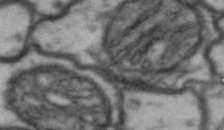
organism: Drosophila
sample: Brain